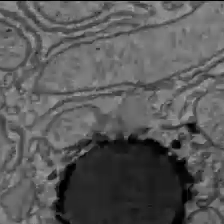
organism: C57BL Mouse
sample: Liver